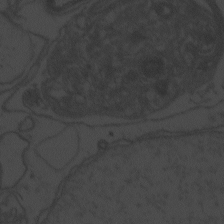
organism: Zebrafish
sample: Macrophage infected with Toxoplasma gondii